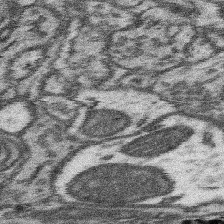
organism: Mouse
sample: Somatosensory cortex neuropil